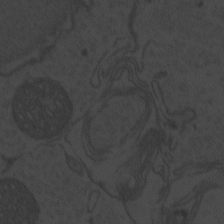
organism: Zebrafish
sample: Macrophage infected with Toxoplasma gondii